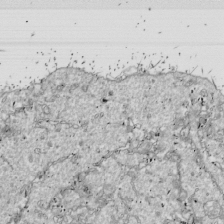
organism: Drosophila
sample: Cell division; meiosis; drosophila spermatocytes